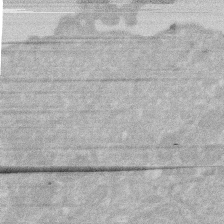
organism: Human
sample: HIV infected U937 cells